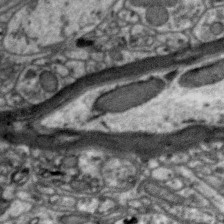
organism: Zebra finch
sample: Brain